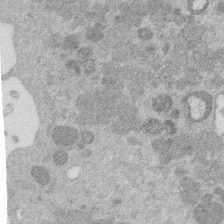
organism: Mouse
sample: Dividing mouse embryo 1 cell stage